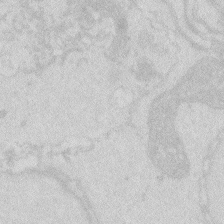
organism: Zebrafish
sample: Macrophage